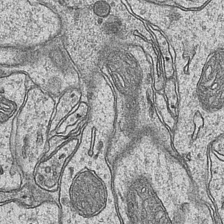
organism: Mouse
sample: CA1 Hippocampus